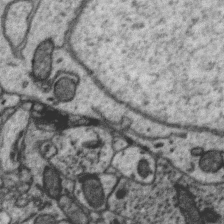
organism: Zebra finch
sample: Brain